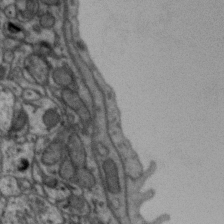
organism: Zebra finch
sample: Brain